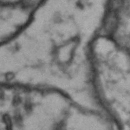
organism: Drosophila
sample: Brain